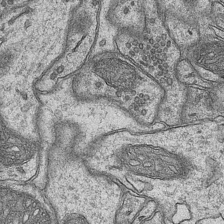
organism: Mouse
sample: CA1 Hippocampus